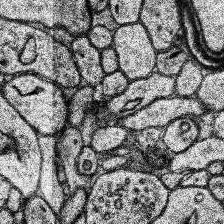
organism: Human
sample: Temporal Lobe